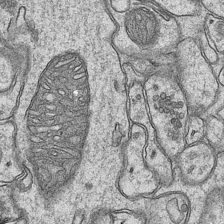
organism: Mouse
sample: CA1 Hippocampus